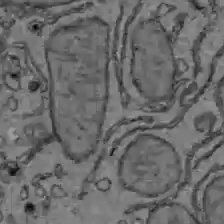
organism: C57BL Mouse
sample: Liver